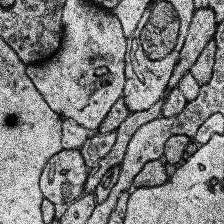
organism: Human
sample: Temporal Lobe